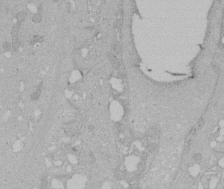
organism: Human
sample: Melanocyte Keratinocyte synapse skin construct